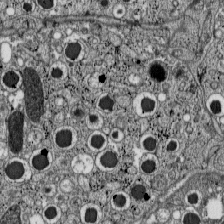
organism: C57BL Mouse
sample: Pancreatic islet